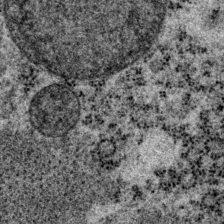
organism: P. pacificus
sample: Pharynx